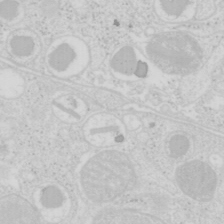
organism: Mouse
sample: Pancreas